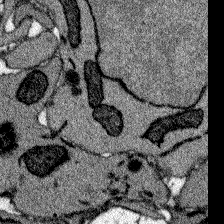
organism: Zebrafish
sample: Larval olfactory bulb